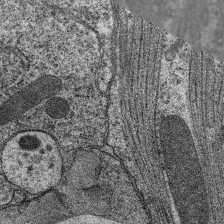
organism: C. elegans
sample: Pharynx